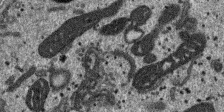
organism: Human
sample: Lung epithelial cells infected with SARS-CoV-2